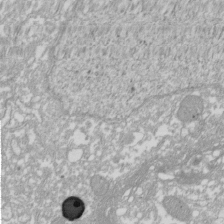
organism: Xenopus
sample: Cilia; centrioles in frog embryo cells